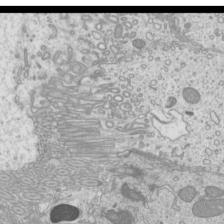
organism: Mouse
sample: Cilia; mouse epididymis